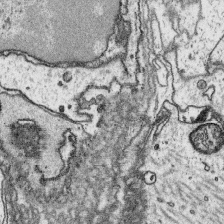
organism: Platynereis dumerilii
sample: Parapodia